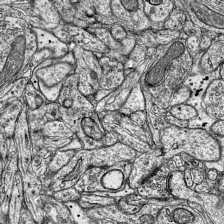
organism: Mouse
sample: Visual Cortex